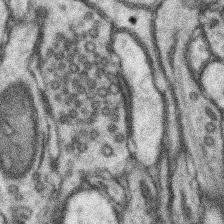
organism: Mouse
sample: Somatosensory cortex neuropil